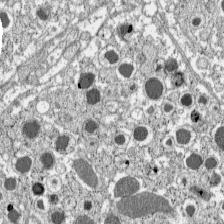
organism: C57BL Mouse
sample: Pancreatic islet